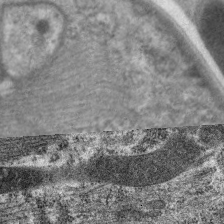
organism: C. elegans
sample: Pharynx